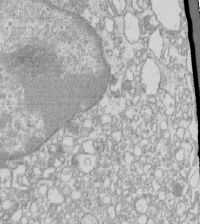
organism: Mouse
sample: Macrophages